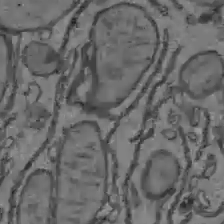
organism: C57BL Mouse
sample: Liver